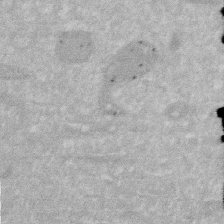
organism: Human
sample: HIV infected U937 cells